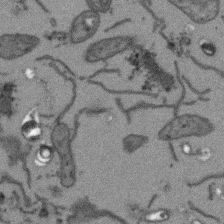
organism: Arabidopsis thaliana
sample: Root tip